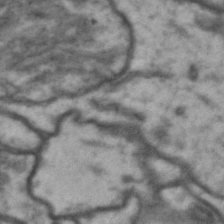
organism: Drosophila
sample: Brain